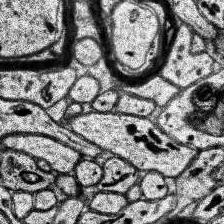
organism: Human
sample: Temporal Lobe